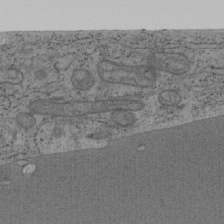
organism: Human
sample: HeLa cells